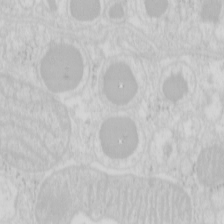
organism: Mouse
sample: Pancreas